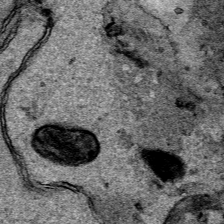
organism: Human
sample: Mitochondria in HCT116 cells